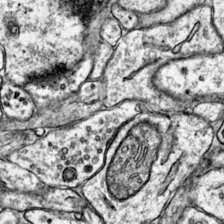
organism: Mouse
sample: Primary visual cortex